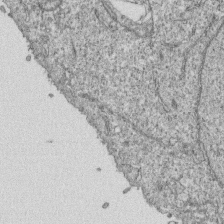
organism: Human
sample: HeLa cell HIV synapse